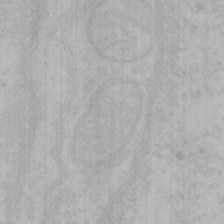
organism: Mouse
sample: Choroid plexus